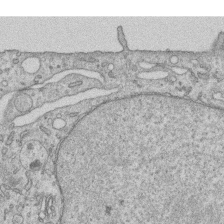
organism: Human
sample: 1205lu cells